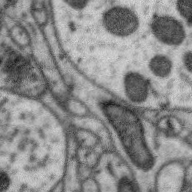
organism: Zebra finch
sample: Brain